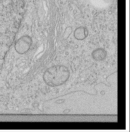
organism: Human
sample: Mitochondria in HCT116 cells